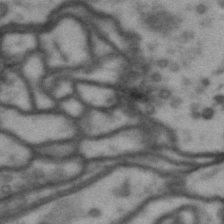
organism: Drosophila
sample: Brain